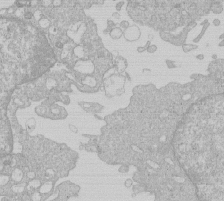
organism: Human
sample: Macrophage cells